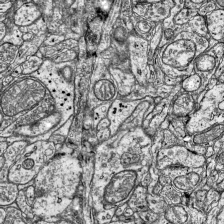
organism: Mouse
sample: Visual Cortex